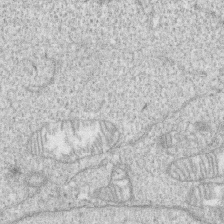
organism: Human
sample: HeLa cell HIV synapse